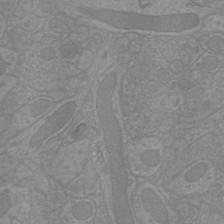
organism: Mouse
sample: Cortical neurons